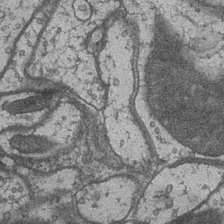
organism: Drosophila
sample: Optic medulla